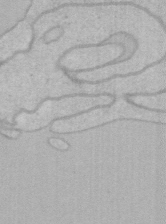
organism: Human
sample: HeLa cells